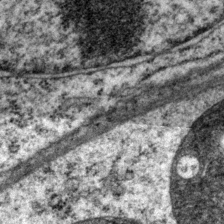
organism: P. pacificus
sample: Pharynx